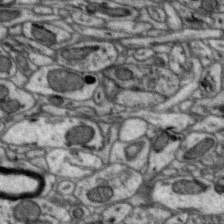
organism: Zebra finch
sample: Brain